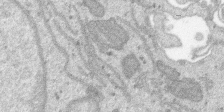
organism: Human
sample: Lung epithelial cells infected with SARS-CoV-2